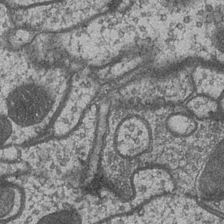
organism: Drosophila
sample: Optic medulla